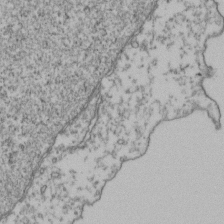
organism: Human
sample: Activated Jurkat CD4+ T cells